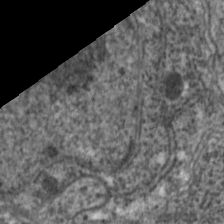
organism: C. elegans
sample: Pharynx